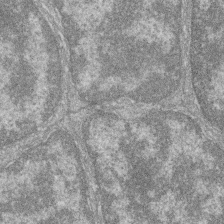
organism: Zebrafish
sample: Cilia; retinal pigment epithelium